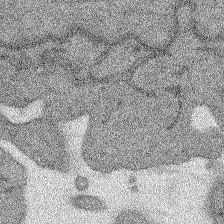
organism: Human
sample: HeLa cells